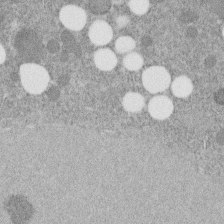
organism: C. elegans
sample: C. elegans embryo early stage